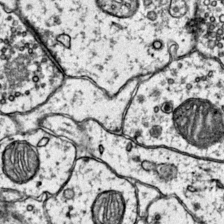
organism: Mouse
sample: Primary visual cortex